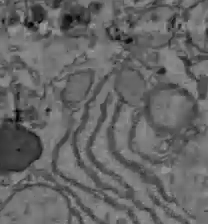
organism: C57BL Mouse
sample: Liver